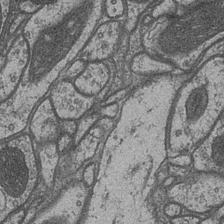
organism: Drosophila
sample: Optic medulla